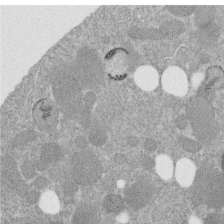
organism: C. elegans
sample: C. elegans embryo early stage